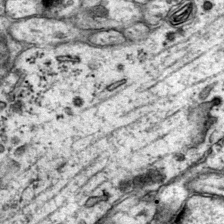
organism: Mouse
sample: Primary visual cortex